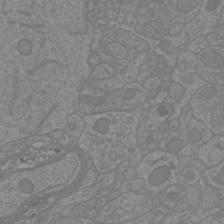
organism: Mouse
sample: Cortical neurons